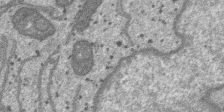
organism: Human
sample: Lung epithelial cells infected with SARS-CoV-2